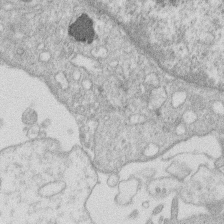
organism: Human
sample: Macrophage cells